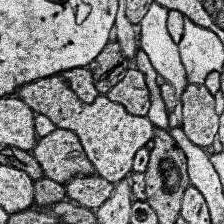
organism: Human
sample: Temporal Lobe